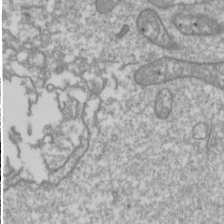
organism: Drosophila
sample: Cell division; meiosis; drosophila spermatocytes